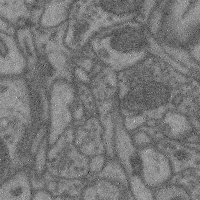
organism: Mouse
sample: Cerebral cortex